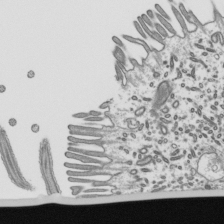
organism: Mouse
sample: Mouse epididymis efferent ductule cilia